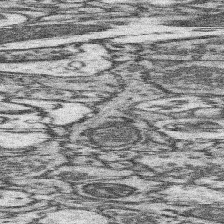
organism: Mouse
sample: Somatosensory cortex neuropil